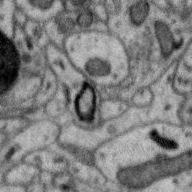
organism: Zebra finch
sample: Brain